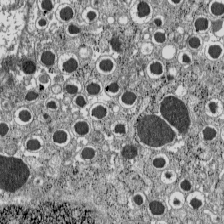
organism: C57BL Mouse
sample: Pancreatic islet